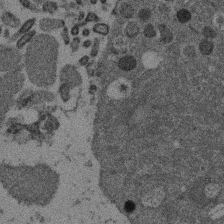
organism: Mouse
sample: Dividing mouse embryo 1 cell stage